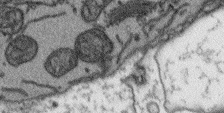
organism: Arabidopsis thaliana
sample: Root tip